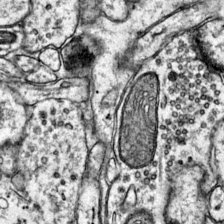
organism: Mouse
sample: Primary visual cortex